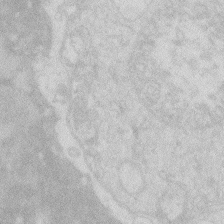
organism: Zebrafish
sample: Macrophage